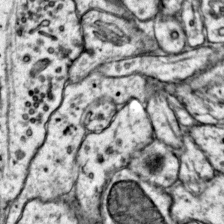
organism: Mouse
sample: Primary visual cortex